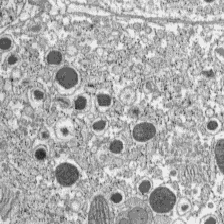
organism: C57BL Mouse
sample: Pancreatic islet